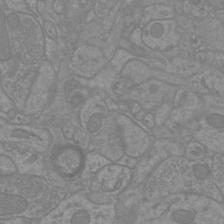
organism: Mouse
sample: Cortical neurons